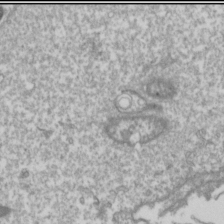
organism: Drosophila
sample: Cell division; meiosis; drosophila spermatocytes